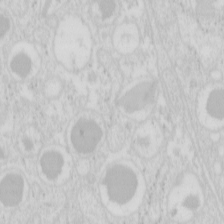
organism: Mouse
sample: Pancreas